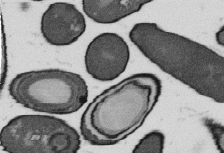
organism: B. subtilis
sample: Bacterial spore